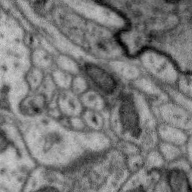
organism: Zebra finch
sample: Brain